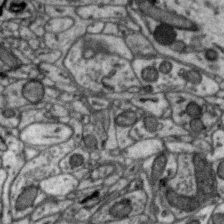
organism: Zebra finch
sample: Brain